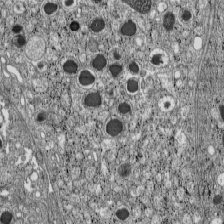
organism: C57BL Mouse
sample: Pancreatic islet